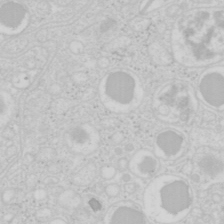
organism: Mouse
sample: Pancreas